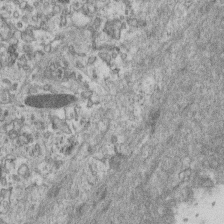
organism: Mouse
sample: Centriole in ependymal cells